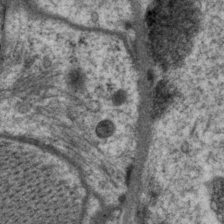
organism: P. pacificus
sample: Pharynx